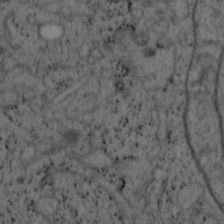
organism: Human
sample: HeLa cells